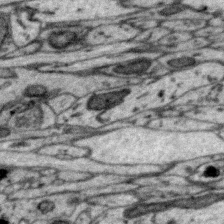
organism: Zebra finch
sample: Brain